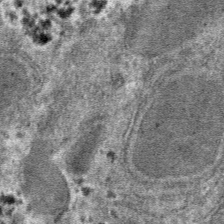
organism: Mouse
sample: Mouse hepatocytes